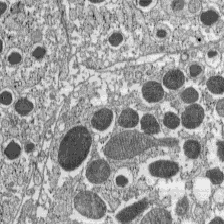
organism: C57BL Mouse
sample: Pancreatic islet